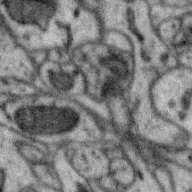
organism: Zebra finch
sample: Brain